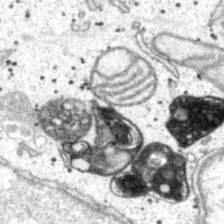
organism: Human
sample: HeLa cells